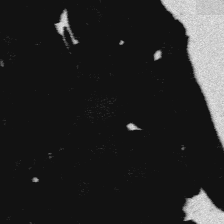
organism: Platynereis dumerilii